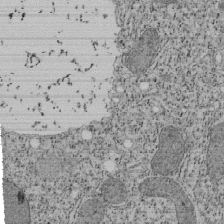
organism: Tetrahymena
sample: Cilia in tetrahymena